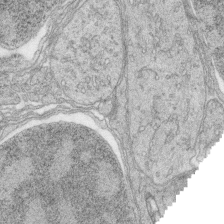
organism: Zebrafish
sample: synaptic ribbons in rod cells and cone cells